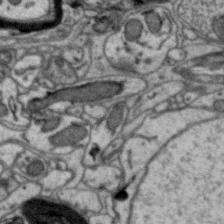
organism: Zebra finch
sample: Brain